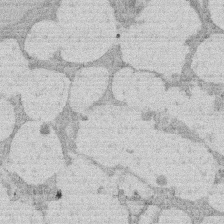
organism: Rat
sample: Salivary granule